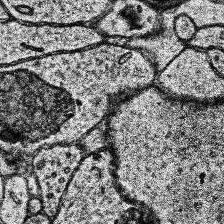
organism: Human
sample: Temporal Lobe